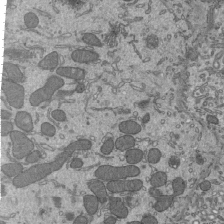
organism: Mouse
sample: Mouse epididymis efferent ductule cilia